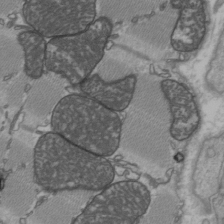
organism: C57BL Mouse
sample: Heart